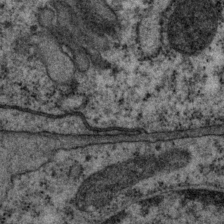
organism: P. pacificus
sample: Pharynx